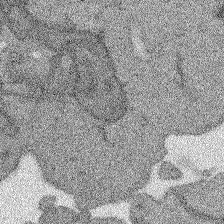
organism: Human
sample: HeLa cells